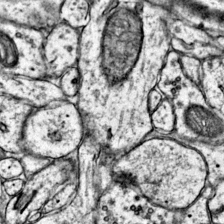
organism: Mouse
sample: Primary visual cortex